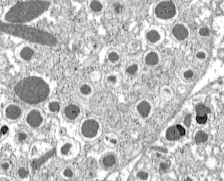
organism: C57BL Mouse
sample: Pancreatic islet